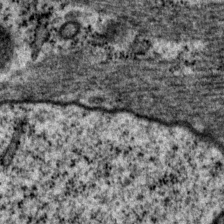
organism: P. pacificus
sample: Pharynx